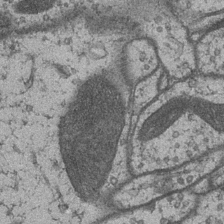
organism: Drosophila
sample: Optic medulla